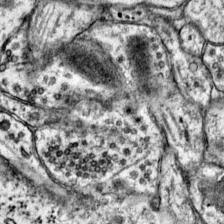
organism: Mouse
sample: Primary visual cortex